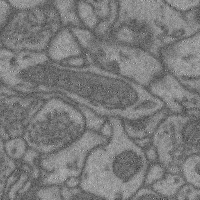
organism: Mouse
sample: Cerebral cortex